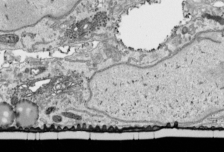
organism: Human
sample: Mitochondria in HCT116 cells